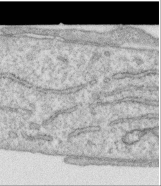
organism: Human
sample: Centriole in RPE cells